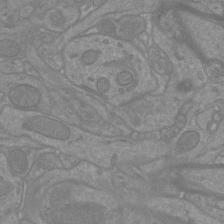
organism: Mouse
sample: Cortical neurons